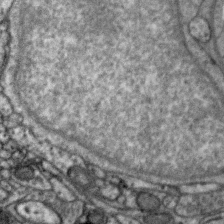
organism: Zebra finch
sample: Brain